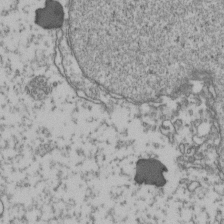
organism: Human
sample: Activated Jurkat CD4+ T cells